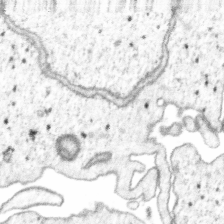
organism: Human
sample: HeLa cells